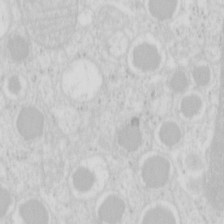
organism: Mouse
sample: Pancreas